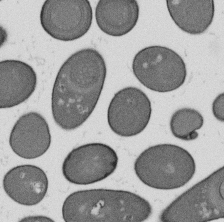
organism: B. subtilis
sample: Bacterial spore